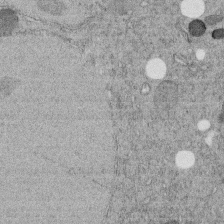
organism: C. elegans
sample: C. elegans embryo early stage